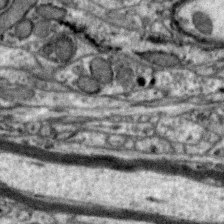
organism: Zebra finch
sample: Brain